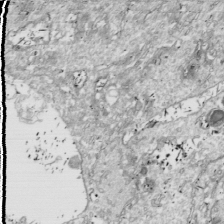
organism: Drosophila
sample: Cell division; meiosis; drosophila spermatocytes